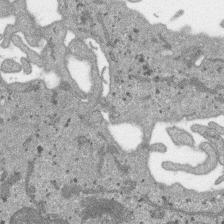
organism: Human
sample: Lung epithelial cells infected with SARS-CoV-2